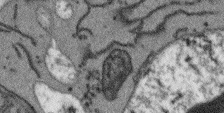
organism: Arabidopsis thaliana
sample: Root tip